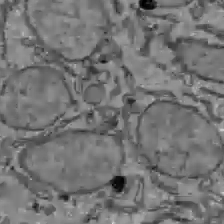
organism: C57BL Mouse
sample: Liver